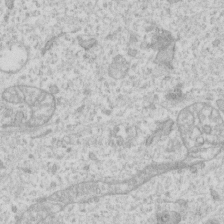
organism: Human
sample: Fibroblast cells